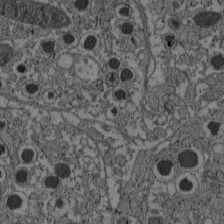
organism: C57BL Mouse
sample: Pancreatic islet